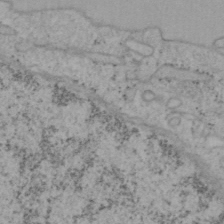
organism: Human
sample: HeLa cells